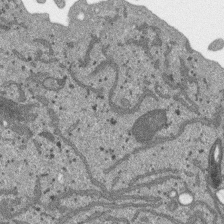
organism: Human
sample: Lung epithelial cells infected with SARS-CoV-2